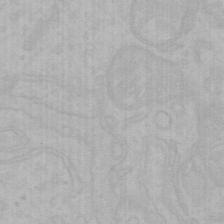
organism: Mouse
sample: Choroid plexus